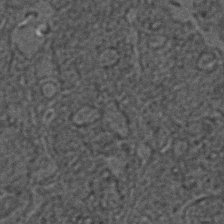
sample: Trachea